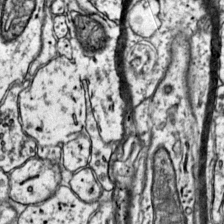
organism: Mouse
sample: Primary visual cortex